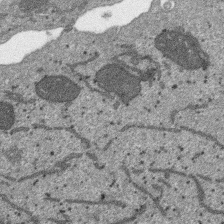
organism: Human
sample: Lung epithelial cells infected with SARS-CoV-2